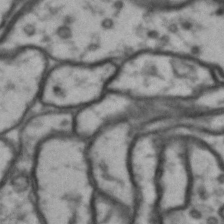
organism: Drosophila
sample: Brain